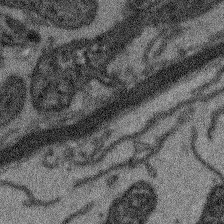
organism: Arabidopsis thaliana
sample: Root tip